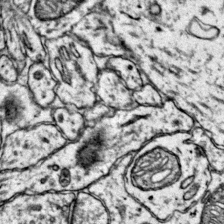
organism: Mouse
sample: Primary visual cortex